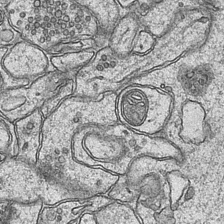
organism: Mouse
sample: CA1 Hippocampus